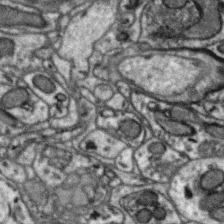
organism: Zebra finch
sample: Brain